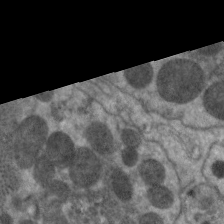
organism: C. elegans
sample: Pharynx